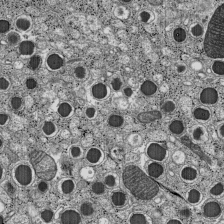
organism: C57BL Mouse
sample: Pancreatic islet